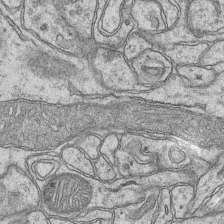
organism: Mouse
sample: CA1 Hippocampus